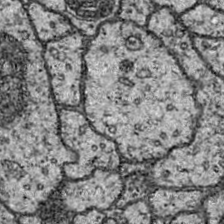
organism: Drosophila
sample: Ventral Nerve Cord